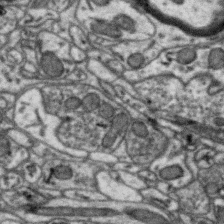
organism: Zebra finch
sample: Brain